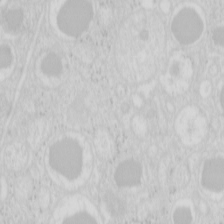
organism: Mouse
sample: Pancreas